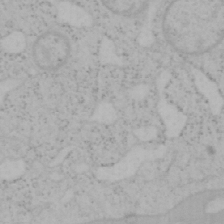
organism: Mouse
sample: OT-I killer T cells with ID8 ovarian cancer cells